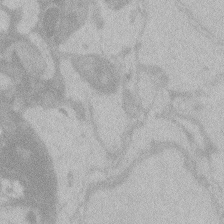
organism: Zebrafish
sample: Macrophage infected with Toxoplasma gondii